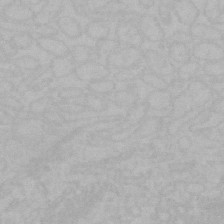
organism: Mouse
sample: Choroid plexus